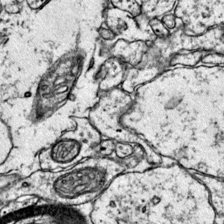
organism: Mouse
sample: Primary visual cortex